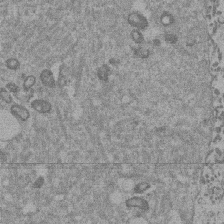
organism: Mouse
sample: Dividing mouse embryo 1 cell stage